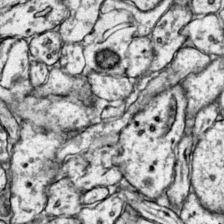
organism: Mouse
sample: Primary visual cortex